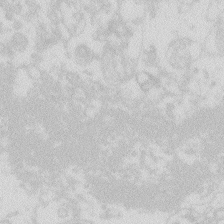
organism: Zebrafish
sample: Macrophage